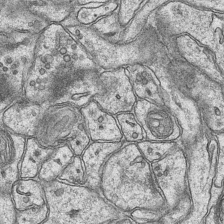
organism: Mouse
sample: CA1 Hippocampus